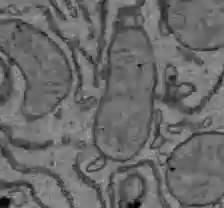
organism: C57BL Mouse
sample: Liver